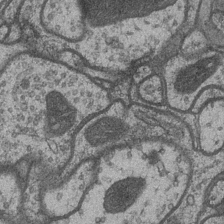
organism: Drosophila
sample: Optic medulla